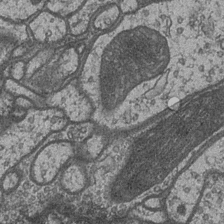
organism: Drosophila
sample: Optic medulla